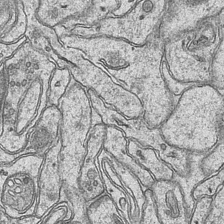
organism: Mouse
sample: CA1 Hippocampus